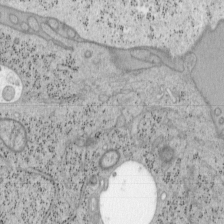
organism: Mouse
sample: OT-I killer T cells with ID8 ovarian cancer cells